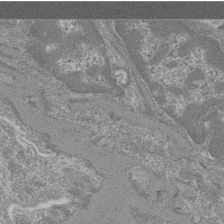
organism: Mouse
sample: Glomerulus